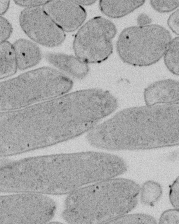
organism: E. coli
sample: Bacterial nucleoid